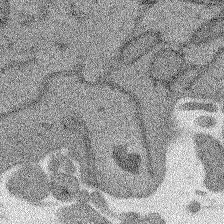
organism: Human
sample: HeLa cells